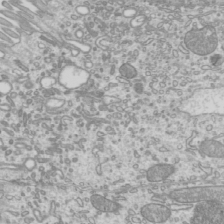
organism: Mouse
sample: Cilia; mouse epididymis